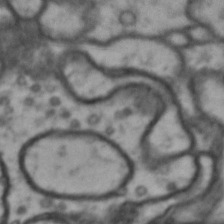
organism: Drosophila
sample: Brain